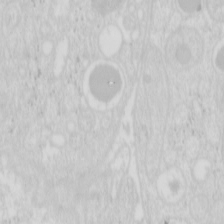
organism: Mouse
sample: Pancreas